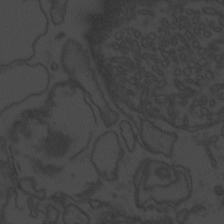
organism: Zebrafish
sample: Macrophage infected with Toxoplasma gondii